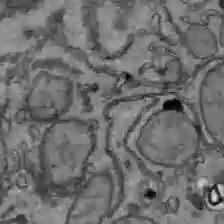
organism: C57BL Mouse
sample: Liver